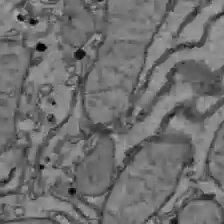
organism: C57BL Mouse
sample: Liver